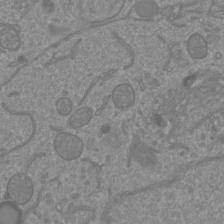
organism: Mouse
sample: Cortical neurons